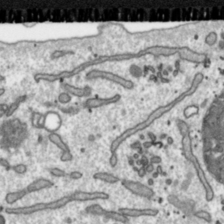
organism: Toxoplasma gondii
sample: Parasites in a vacuole inside a host cell